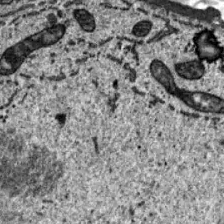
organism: Human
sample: HeLa cells